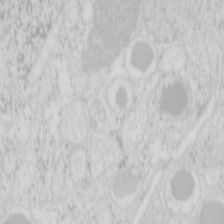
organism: Mouse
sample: Pancreas